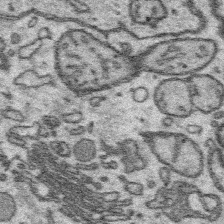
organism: Platynereis dumerilii